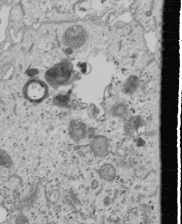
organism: Human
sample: Mitochondria in U2OS cells